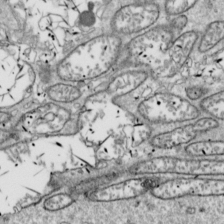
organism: Drosophila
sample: Cell division; meiosis; drosophila spermatocytes